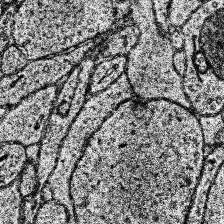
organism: Human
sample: Temporal Lobe